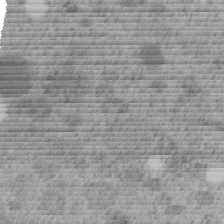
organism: C. elegans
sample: C. elegans embryo early stage